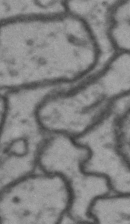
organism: Drosophila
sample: Brain